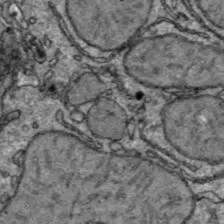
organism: C57BL Mouse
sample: Liver